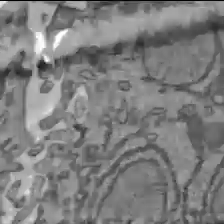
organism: C57BL Mouse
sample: Liver